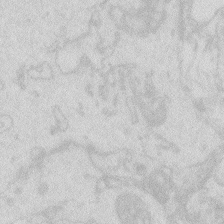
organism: Zebrafish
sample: Macrophage